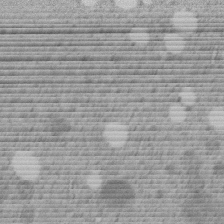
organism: C. elegans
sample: C. elegans embryo early stage